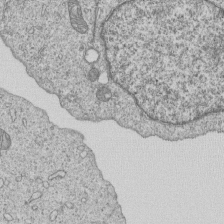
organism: Human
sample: MDA-MB-231 cells